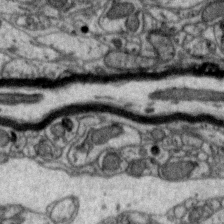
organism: Zebra finch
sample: Brain